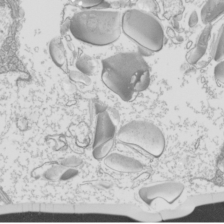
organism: Mouse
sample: Cilia; mouse epididymis